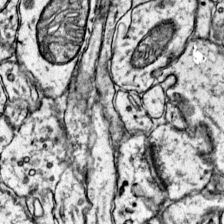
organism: Mouse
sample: Primary visual cortex